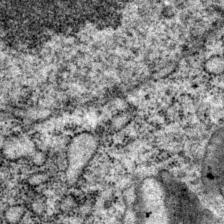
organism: P. pacificus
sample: Pharynx